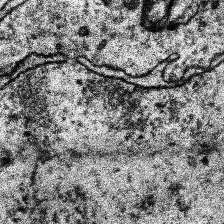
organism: Human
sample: Temporal Lobe